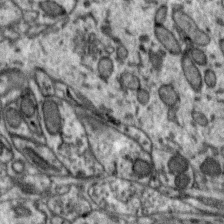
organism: Zebra finch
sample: Brain